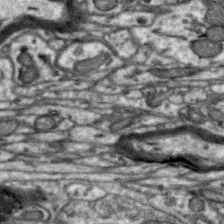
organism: Zebra finch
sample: Brain